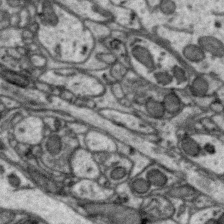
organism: Zebra finch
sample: Brain